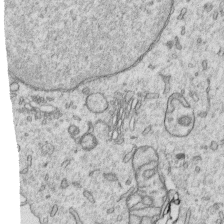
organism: Human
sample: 1205lu cells